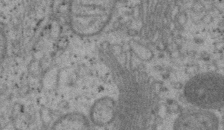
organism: Human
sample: HeLa cells